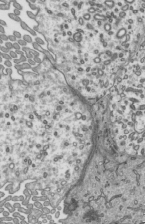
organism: Mouse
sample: Mouse epididymis efferent ductule cilia